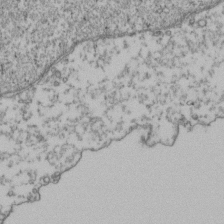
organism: Human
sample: Activated Jurkat CD4+ T cells